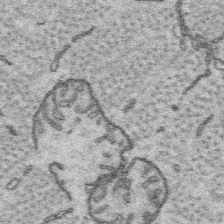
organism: Platynereis dumerilii